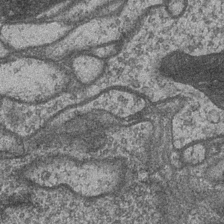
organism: Drosophila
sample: Optic medulla